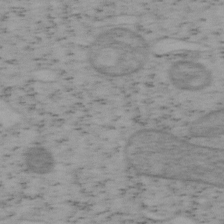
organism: Mouse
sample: OT-I killer T cells with ID8 ovarian cancer cells